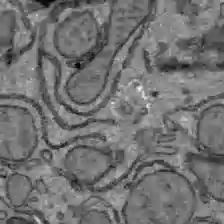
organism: C57BL Mouse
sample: Liver